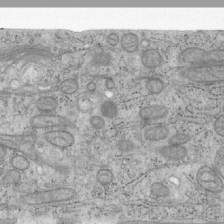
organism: Human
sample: HeLa cells